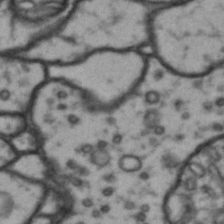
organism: Drosophila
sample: Brain